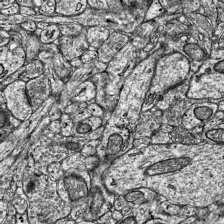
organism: Mouse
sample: Visual Cortex